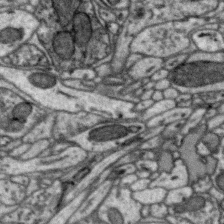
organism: Zebra finch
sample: Brain